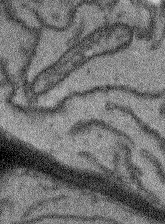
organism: Arabidopsis thaliana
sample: Root tip